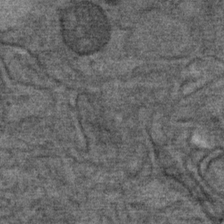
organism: Mouse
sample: Mouse Salivary gland